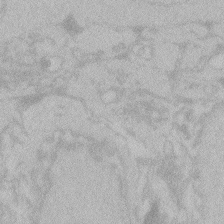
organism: Zebrafish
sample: Macrophage infected with Toxoplasma gondii